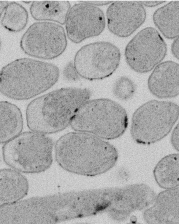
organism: E. coli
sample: Bacterial nucleoid